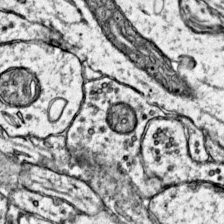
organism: Mouse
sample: Primary visual cortex